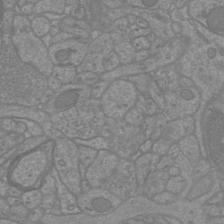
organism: Mouse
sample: Cortical neurons